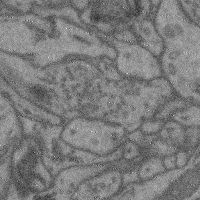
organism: Mouse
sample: Cerebral cortex